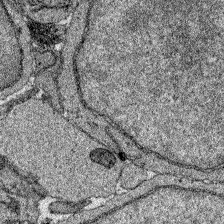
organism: Zebrafish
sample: Larval olfactory bulb